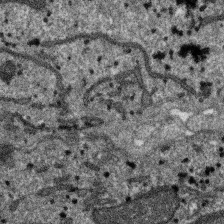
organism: Human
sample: Lung epithelial cells infected with SARS-CoV-2